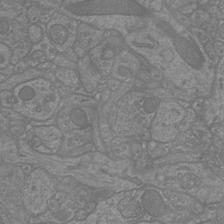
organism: Mouse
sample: Cortical neurons